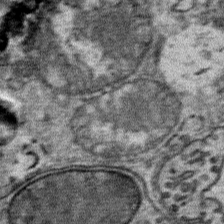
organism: Mouse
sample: Mouse Salivary gland